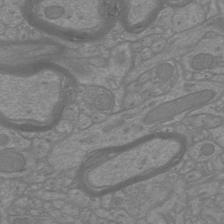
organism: Mouse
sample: Cortical neurons